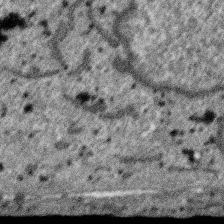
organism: Human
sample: Lung epithelial cells infected with SARS-CoV-2